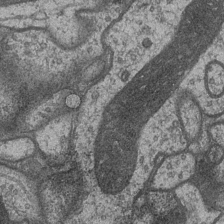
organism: Drosophila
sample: Optic medulla